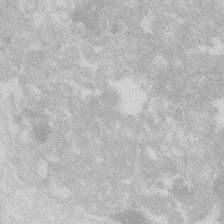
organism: Zebrafish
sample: Macrophage